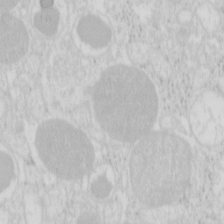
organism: Mouse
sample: Pancreas